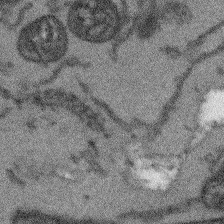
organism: Arabidopsis thaliana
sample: Root tip